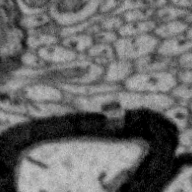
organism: Zebra finch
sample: Brain